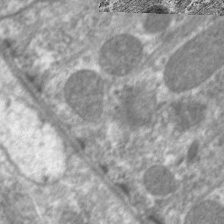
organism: C. elegans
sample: Pharynx